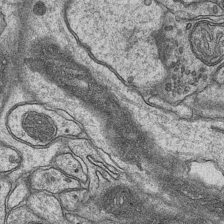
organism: Mouse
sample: CA1 Hippocampus